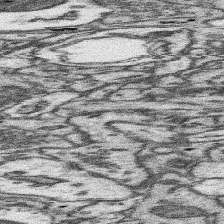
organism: Mouse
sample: Somatosensory cortex neuropil